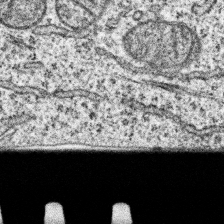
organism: Human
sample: HeLa cells